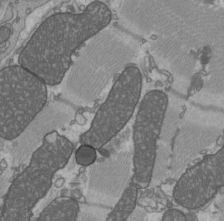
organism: C57BL Mouse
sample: Heart